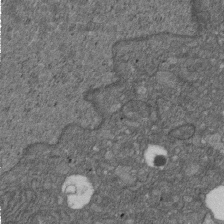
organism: Drosophila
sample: Nephrocyte